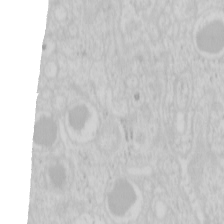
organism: Mouse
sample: Pancreas